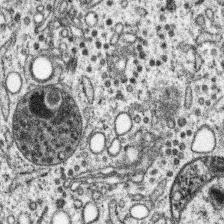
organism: Human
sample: HeLa cells